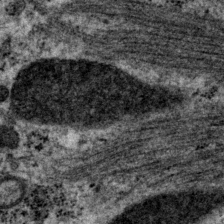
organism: P. pacificus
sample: Pharynx